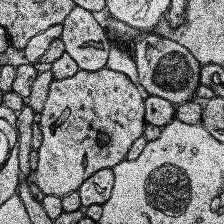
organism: Human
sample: Temporal Lobe